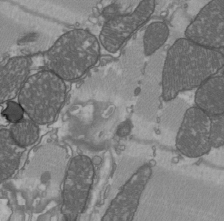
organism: C57BL Mouse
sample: Heart